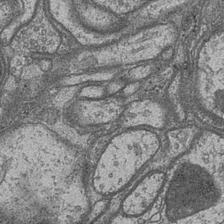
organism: Drosophila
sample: Optic medulla